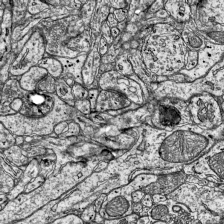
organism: Mouse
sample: Visual Cortex